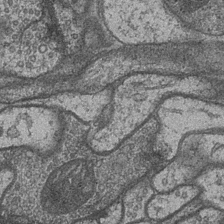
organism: Drosophila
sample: Optic medulla